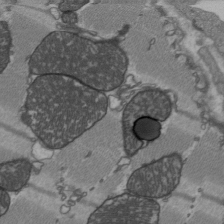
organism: C57BL Mouse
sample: Heart